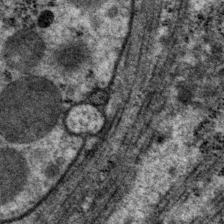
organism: P. pacificus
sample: Pharynx